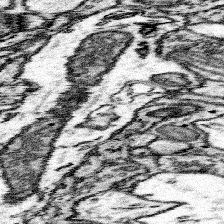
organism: Mouse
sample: Somatosensory cortex neuropil